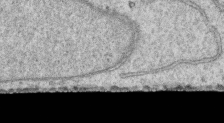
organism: Human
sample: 1205lu cells